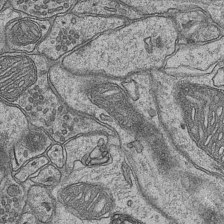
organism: Mouse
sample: CA1 Hippocampus